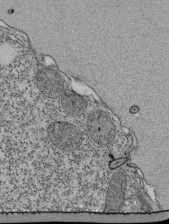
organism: Tetrahymena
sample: Cilia in tetrahymena